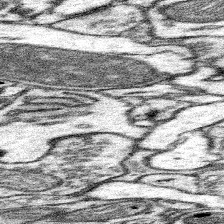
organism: Mouse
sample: Somatosensory cortex neuropil